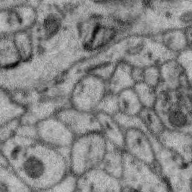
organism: Zebra finch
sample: Brain